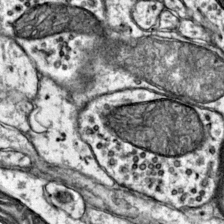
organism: Mouse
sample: Primary visual cortex